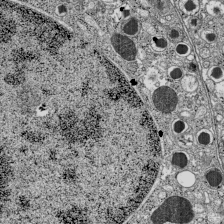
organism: C57BL Mouse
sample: Pancreatic islet